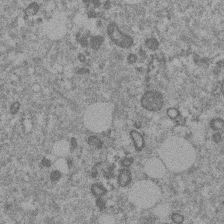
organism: Mouse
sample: Dividing mouse embryo 1 cell stage